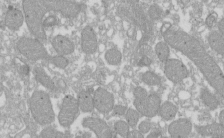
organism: Xenopus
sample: Cilia; centrioles in frog embryo cells